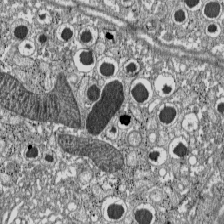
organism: C57BL Mouse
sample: Pancreatic islet